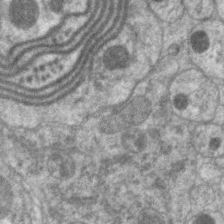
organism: C. elegans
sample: Pharynx